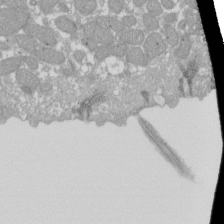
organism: Xenopus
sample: Cilia; centrioles in frog embryo cells